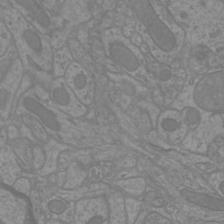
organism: Mouse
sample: Cortical neurons